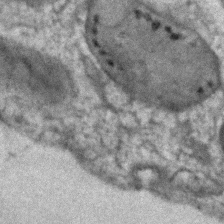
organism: Human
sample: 1205lu cells